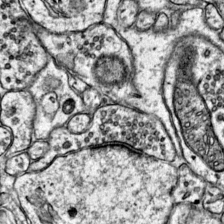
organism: Mouse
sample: Primary visual cortex